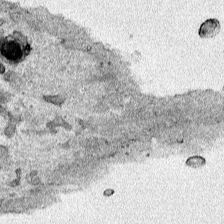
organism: Human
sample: Mitochondria in HCT116 cells